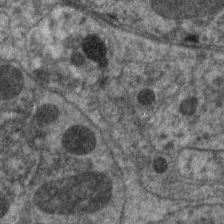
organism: C. elegans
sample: Pharynx